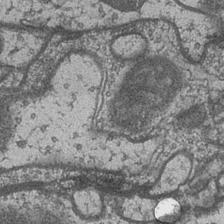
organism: Drosophila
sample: Optic medulla